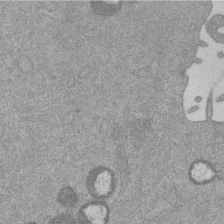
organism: Mouse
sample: Dividing mouse embryo 1 cell stage